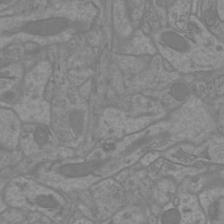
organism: Mouse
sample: Cortical neurons